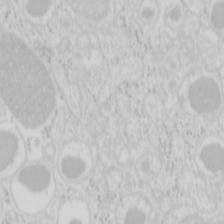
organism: Mouse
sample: Pancreas